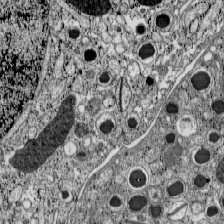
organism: C57BL Mouse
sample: Pancreatic islet